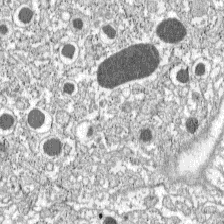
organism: C57BL Mouse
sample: Pancreatic islet